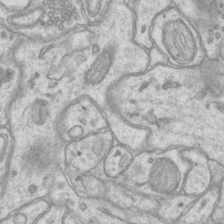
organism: Mouse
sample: CA1 Hippocampus